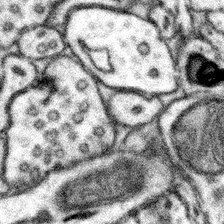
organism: Mouse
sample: Somatosensory cortex neuropil